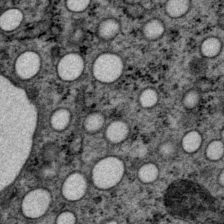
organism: P. pacificus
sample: Pharynx